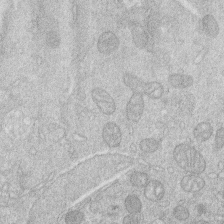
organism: Human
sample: Macrophage cells